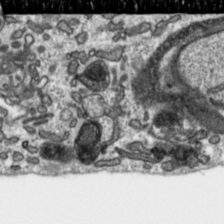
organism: Toxoplasma gondii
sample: Parasites in a vacuole inside a host cell